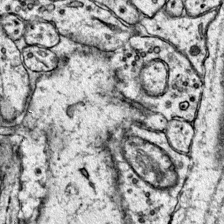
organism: Mouse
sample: Primary visual cortex